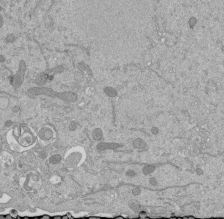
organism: Mouse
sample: ED-1 cell nuclei; centrioles